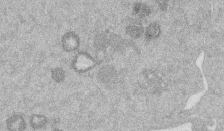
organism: Mouse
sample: Dividing mouse embryo 1 cell stage